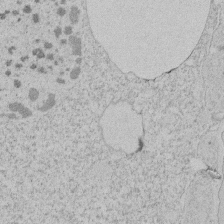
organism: Tetrahymena